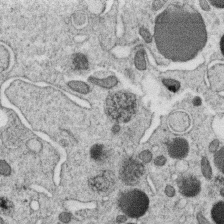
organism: C. elegans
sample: C. elegans oocyte; sperm cells